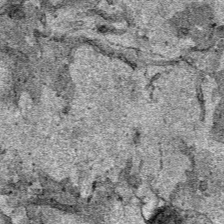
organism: Human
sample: Mitochondria in HCT116 cells